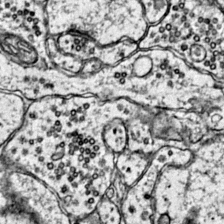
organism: Mouse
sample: Primary visual cortex